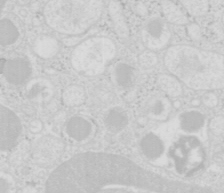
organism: Mouse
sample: Pancreas